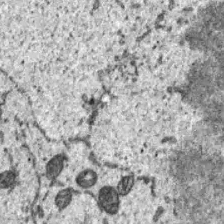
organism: Human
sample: HeLa cells